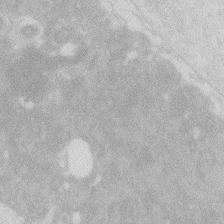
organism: Zebrafish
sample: Macrophage